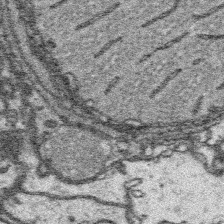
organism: Platynereis dumerilii